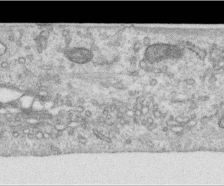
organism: Human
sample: Centriole in RPE cells